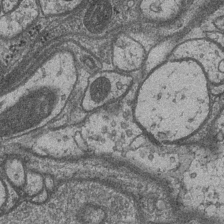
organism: Drosophila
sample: Optic medulla